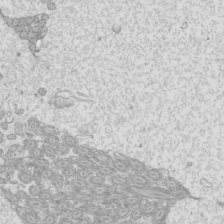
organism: Mouse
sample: Cilia; mouse epididymis